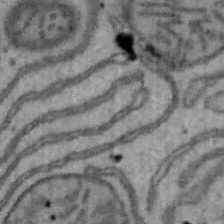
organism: Mouse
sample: Liver